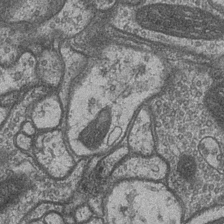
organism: Drosophila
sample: Optic medulla